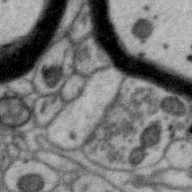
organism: Zebra finch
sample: Brain